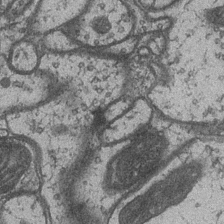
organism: Drosophila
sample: Optic medulla